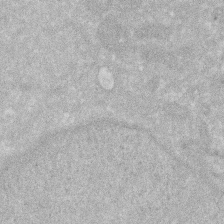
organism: Human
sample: HIV infected U937 cells